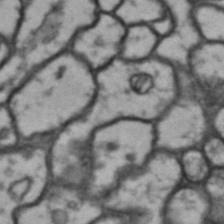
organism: Drosophila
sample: Brain